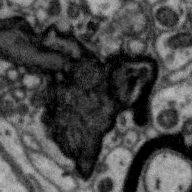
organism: Zebra finch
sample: Brain